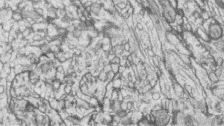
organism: Zebrafish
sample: synaptic ribbons in rod cells and cone cells